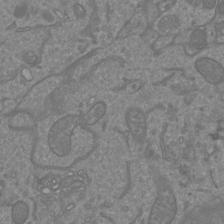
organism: Mouse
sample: Cortical neurons